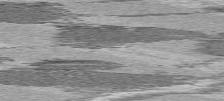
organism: C57BL Mouse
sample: Heart